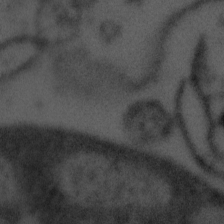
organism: Tuwongella immobilis